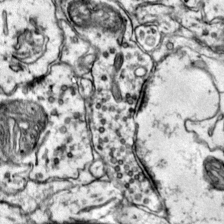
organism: Mouse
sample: Primary visual cortex